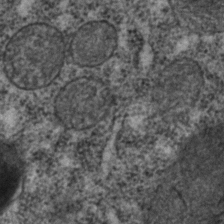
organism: C. elegans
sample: C. elegans embryo